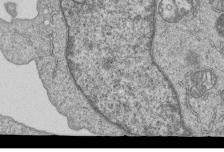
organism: Human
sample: MDA-MB-231 cells